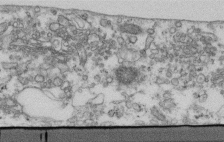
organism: Human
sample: Centriole in fibroblast cells